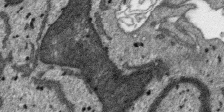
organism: Human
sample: Lung epithelial cells, uninfected (mock) control